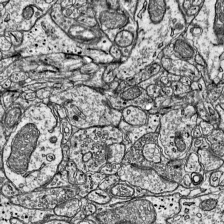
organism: Mouse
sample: Visual Cortex